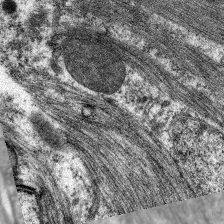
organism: C. elegans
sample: Pharynx